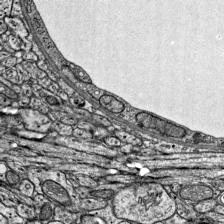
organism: Mouse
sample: Visual Cortex